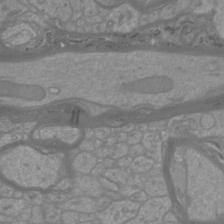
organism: Mouse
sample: Cortical neurons